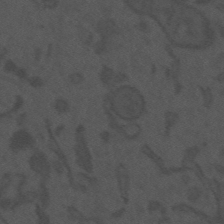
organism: Mouse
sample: Suprachiasmatic nucleus